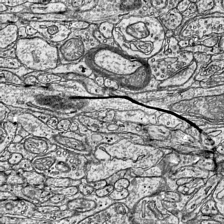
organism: Mouse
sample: Visual Cortex